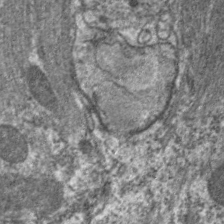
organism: C. elegans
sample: Pharynx